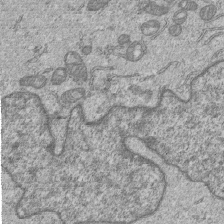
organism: Human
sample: MDA-MB-231 cells